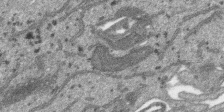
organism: Human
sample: Lung epithelial cells infected with SARS-CoV-2